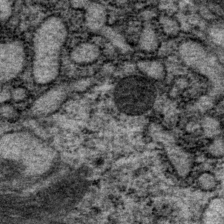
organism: P. pacificus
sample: Pharynx